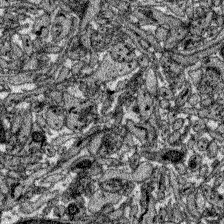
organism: Zebrafish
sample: Larval olfactory bulb